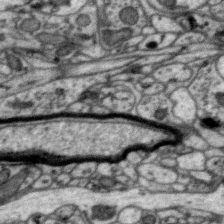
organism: Zebra finch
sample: Brain